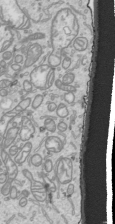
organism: Human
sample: Mitochondria in HCT116 cells